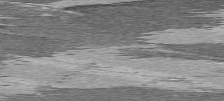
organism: C57BL Mouse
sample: Heart